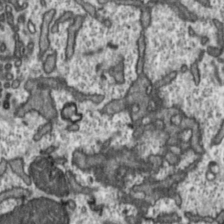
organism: Toxoplasma gondii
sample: Parasites in a vacuole inside a host cell